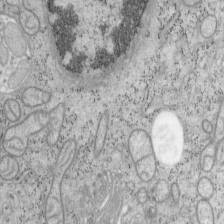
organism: Mouse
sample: OT-I killer T cells with ID8 ovarian cancer cells